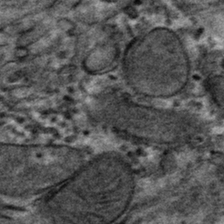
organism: Mouse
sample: Mouse hepatocytes